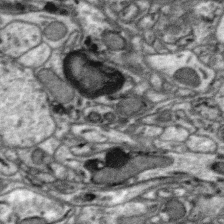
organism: Zebra finch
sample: Brain